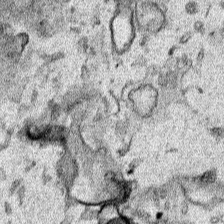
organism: Human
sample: Mitochondria in HCT116 cells